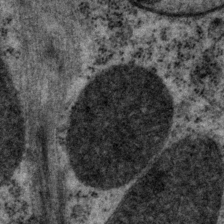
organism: P. pacificus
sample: Pharynx